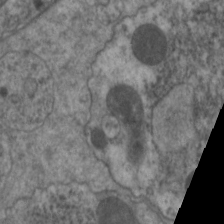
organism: C. elegans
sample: Pharynx